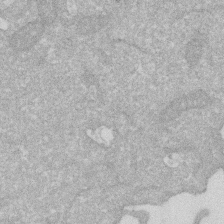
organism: Human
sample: HIV infected U937 cells